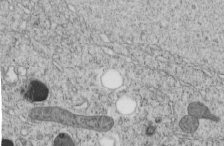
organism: C. elegans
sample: C. elegans embryo early stage